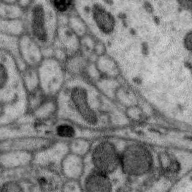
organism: Zebra finch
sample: Brain